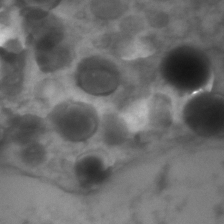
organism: Zebrafish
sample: Zebrafish embryo